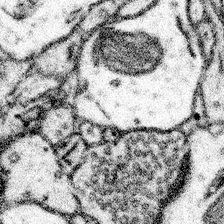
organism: Mouse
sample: Somatosensory cortex neuropil